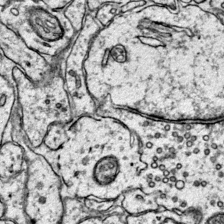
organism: Mouse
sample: Primary visual cortex